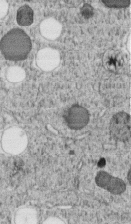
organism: C. elegans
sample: C. elegans embryo early stage